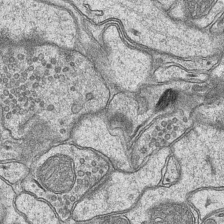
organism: Mouse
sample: CA1 Hippocampus